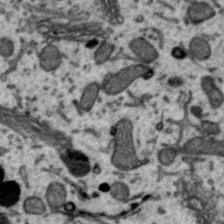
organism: Zebra finch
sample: Brain